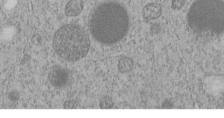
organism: C. elegans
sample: C. elegans embryo early stage